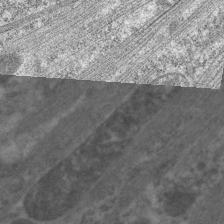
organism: C. elegans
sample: Pharynx